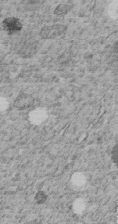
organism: C. elegans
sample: C. elegans embryo early stage